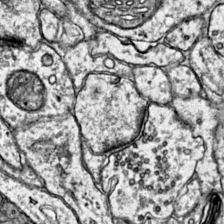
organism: Mouse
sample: Primary visual cortex